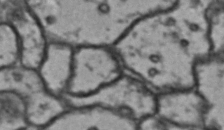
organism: Drosophila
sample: Brain